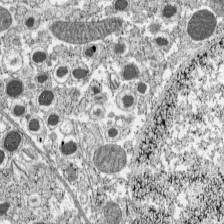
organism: C57BL Mouse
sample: Pancreatic islet